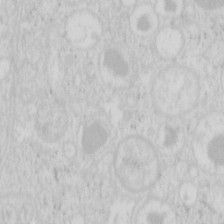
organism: Mouse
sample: Pancreas